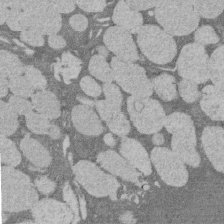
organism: Rat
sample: Salivary granule